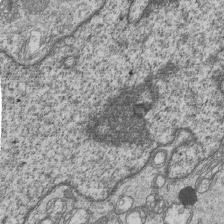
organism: Human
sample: MDA-MB-231 cells